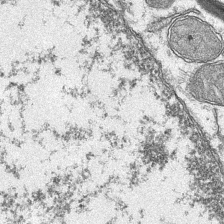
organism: Mouse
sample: CA1 Hippocampus